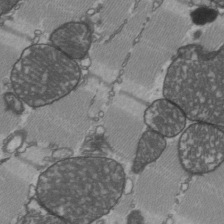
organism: C57BL Mouse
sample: Heart